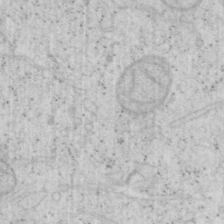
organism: Human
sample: HeLa cells